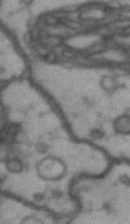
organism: Drosophila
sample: Brain